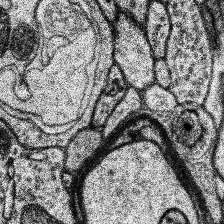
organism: Human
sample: Temporal Lobe